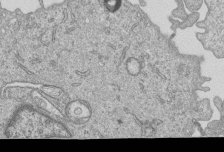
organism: Human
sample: MDA-MB-231 cells